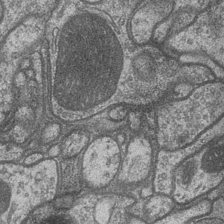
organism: Drosophila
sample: Optic medulla